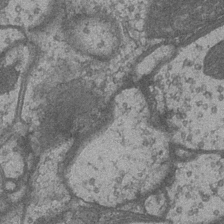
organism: Drosophila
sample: Optic medulla